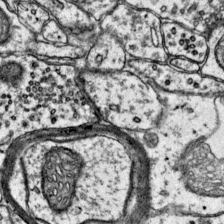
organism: Mouse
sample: Primary visual cortex